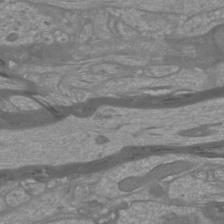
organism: Mouse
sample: Cortical neurons